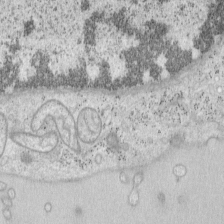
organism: Mouse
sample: OT-I killer T cells with ID8 ovarian cancer cells